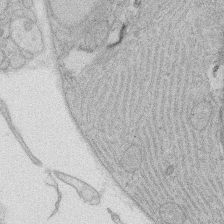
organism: Rat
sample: Salivary granule